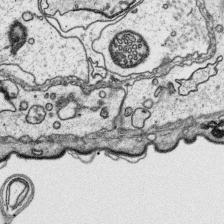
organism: Platynereis dumerilii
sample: Parapodia